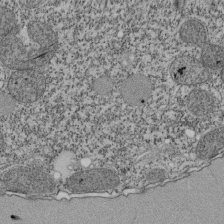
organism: Tetrahymena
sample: Cilia in tetrahymena